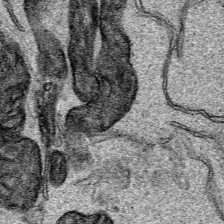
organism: Human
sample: Mitochondria in HCT116 cells